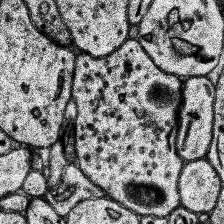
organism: Human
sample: Temporal Lobe